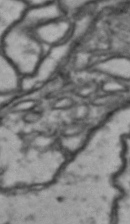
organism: Drosophila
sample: Brain